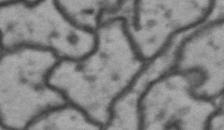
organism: Drosophila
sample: Brain